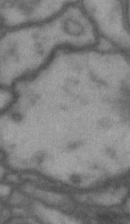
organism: Drosophila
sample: Brain